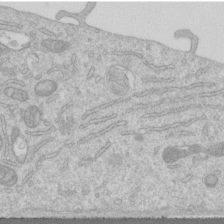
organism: Human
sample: Centriole in RPE cells